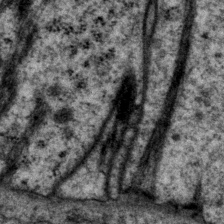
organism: P. pacificus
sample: Pharynx